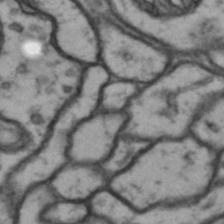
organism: Drosophila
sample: Brain